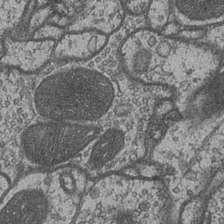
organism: Drosophila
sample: Optic medulla